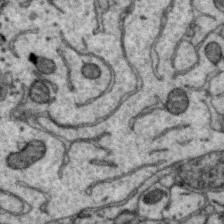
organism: Zebra finch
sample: Brain